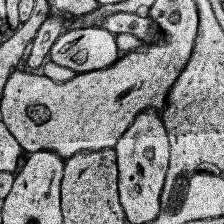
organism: Human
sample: Temporal Lobe